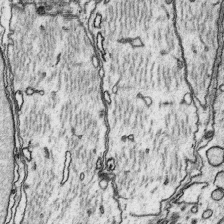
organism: Platynereis dumerilii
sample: Parapodia